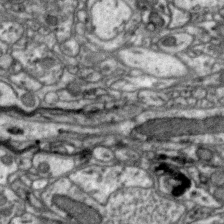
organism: Zebra finch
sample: Brain